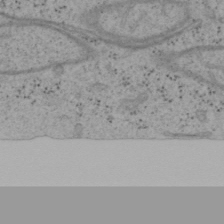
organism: Human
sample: HeLa cells